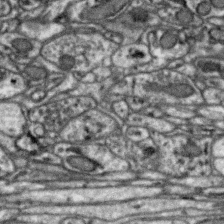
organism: Zebra finch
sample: Brain